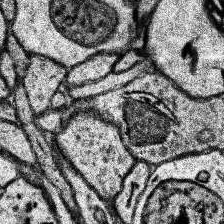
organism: Human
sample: Temporal Lobe